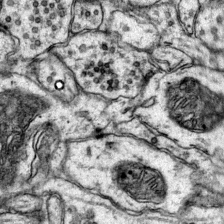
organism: Mouse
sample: Primary visual cortex